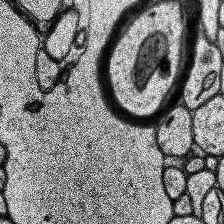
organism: Human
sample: Temporal Lobe